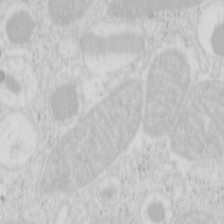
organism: Mouse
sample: Pancreas